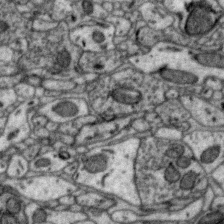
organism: Zebra finch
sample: Brain